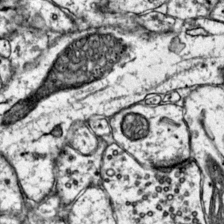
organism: Mouse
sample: Primary visual cortex